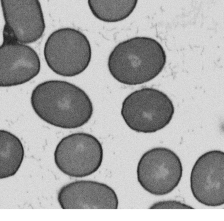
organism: B. subtilis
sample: Bacterial spore